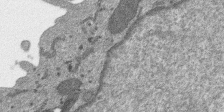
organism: Human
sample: Lung epithelial cells infected with SARS-CoV-2